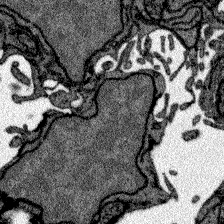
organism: Zebrafish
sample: Larval olfactory bulb